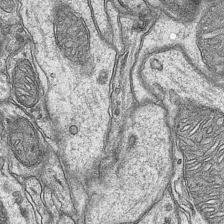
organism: Mouse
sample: CA1 Hippocampus